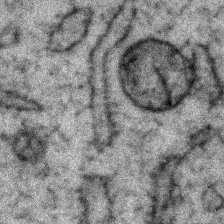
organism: Zebrafish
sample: Zebrafish embryo